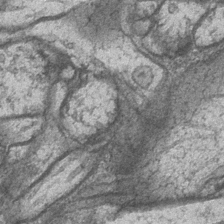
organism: Drosophila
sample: Optic medulla